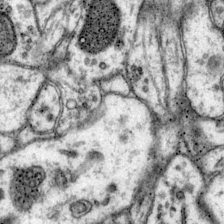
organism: Mouse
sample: Primary visual cortex